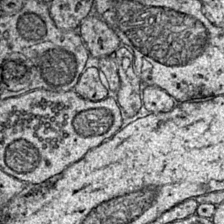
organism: Mouse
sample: Primary visual cortex